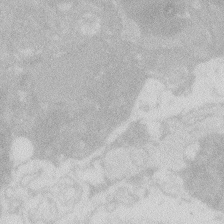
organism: Zebrafish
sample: Macrophage